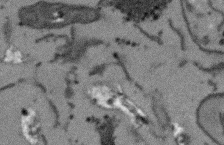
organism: Arabidopsis thaliana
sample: Root tip